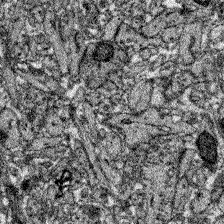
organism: Zebrafish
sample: Larval olfactory bulb